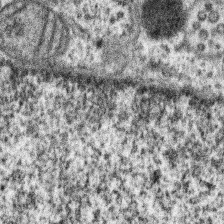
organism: Human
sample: HeLa cells